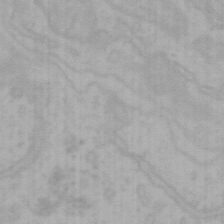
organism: Mouse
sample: Choroid plexus